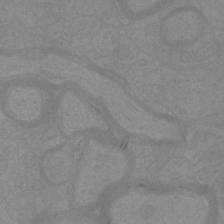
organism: Mouse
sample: Cortical neurons